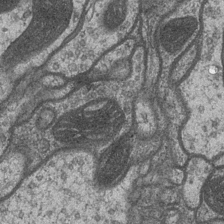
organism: Drosophila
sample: Optic medulla